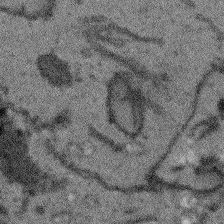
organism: Arabidopsis thaliana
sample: Root tip